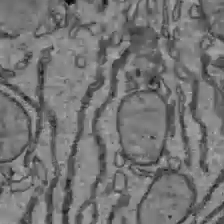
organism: C57BL Mouse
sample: Liver